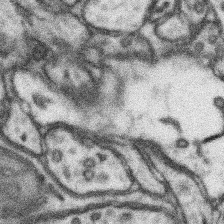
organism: Mouse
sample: Somatosensory cortex neuropil